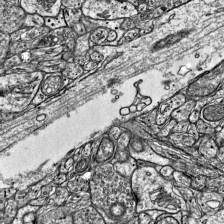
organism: Mouse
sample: Visual Cortex